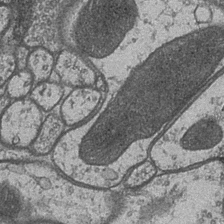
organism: Drosophila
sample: Optic medulla